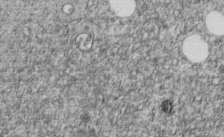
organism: C. elegans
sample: C. elegans embryo early stage